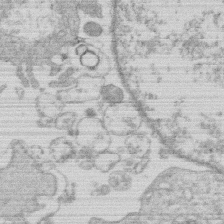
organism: Human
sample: Macrophage cells